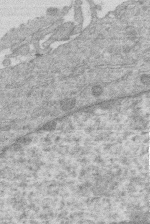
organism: Human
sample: Macrophage cells